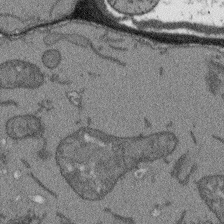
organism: Arabidopsis thaliana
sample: Root tip